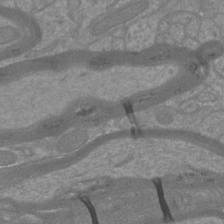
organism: Mouse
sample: Cortical neurons